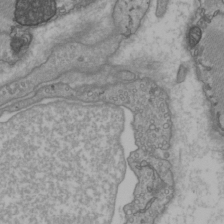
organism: C57BL Mouse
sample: Heart